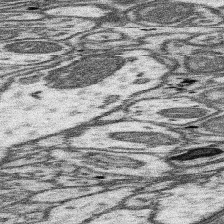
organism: Mouse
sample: Somatosensory cortex neuropil